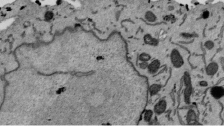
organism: Mouse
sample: ED-1 cell nuclei; centrioles